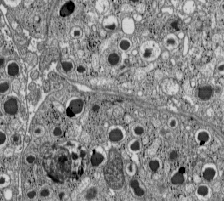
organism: C57BL Mouse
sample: Pancreatic islet